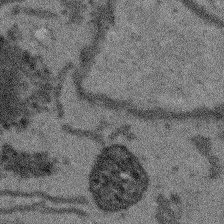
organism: Arabidopsis thaliana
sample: Root tip